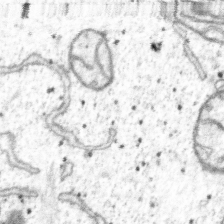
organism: Human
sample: HeLa cells